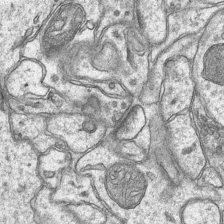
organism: Mouse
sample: CA1 Hippocampus